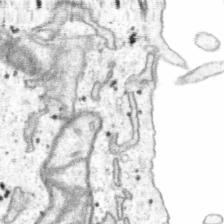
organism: Human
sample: HeLa cells